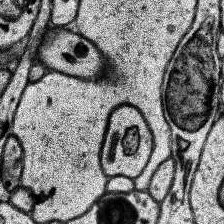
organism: Human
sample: Temporal Lobe